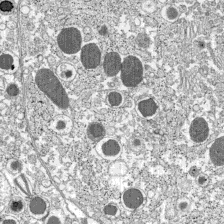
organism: C57BL Mouse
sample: Pancreatic islet